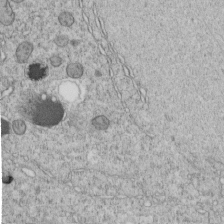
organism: C. elegans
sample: C. elegans embryo early stage